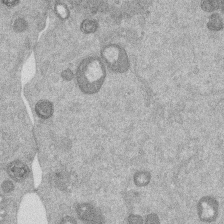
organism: Mouse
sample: Dividing mouse embryo 1 cell stage